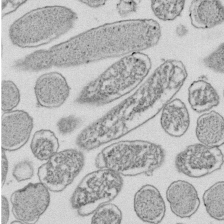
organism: E. coli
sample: Bacterial nucleoid